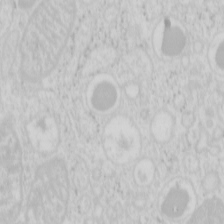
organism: Mouse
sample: Pancreas